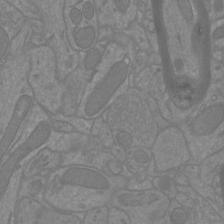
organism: Mouse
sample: Cortical neurons